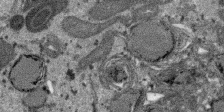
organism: Human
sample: Lung epithelial cells infected with SARS-CoV-2